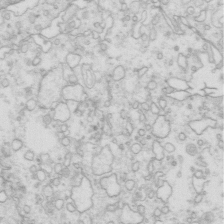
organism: Mouse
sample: Multiciliated cells